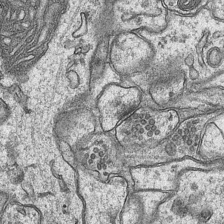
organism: Mouse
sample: CA1 Hippocampus